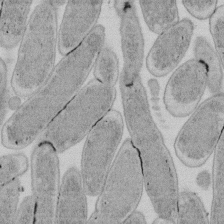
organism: E. coli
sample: Bacterial nucleoid